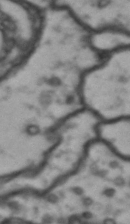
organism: Drosophila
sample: Brain